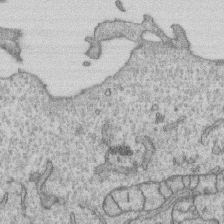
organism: Human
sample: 1205lu cells